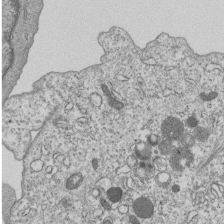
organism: Human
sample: MDA-MB-231 cells